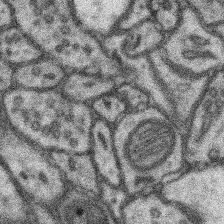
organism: Mouse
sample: Somatosensory cortex neuropil